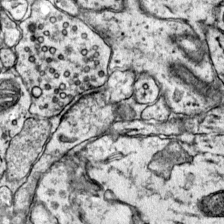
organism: Mouse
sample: Primary visual cortex